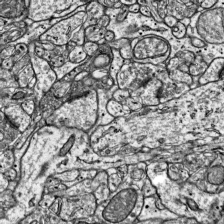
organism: Mouse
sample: Visual Cortex